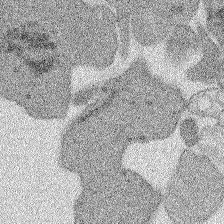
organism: Human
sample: HeLa cells